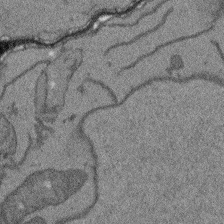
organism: Arabidopsis thaliana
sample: Root tip